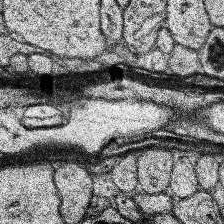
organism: Human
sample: Temporal Lobe